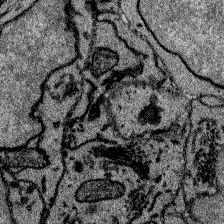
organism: Zebrafish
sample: Larval olfactory bulb